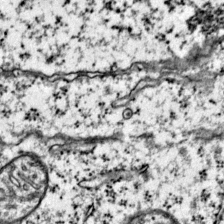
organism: Mouse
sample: Primary visual cortex